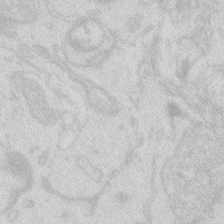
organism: Zebrafish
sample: Macrophage